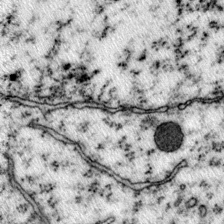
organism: Mouse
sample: Primary visual cortex